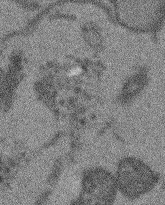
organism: Arabidopsis thaliana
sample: Root tip